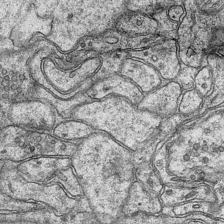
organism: Mouse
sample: CA1 Hippocampus